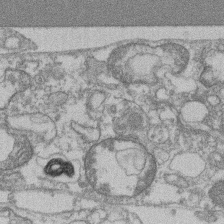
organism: Mouse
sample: T cell stromal cell synapse